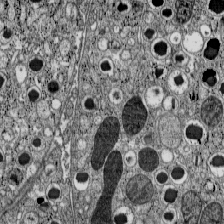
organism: C57BL Mouse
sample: Pancreatic islet